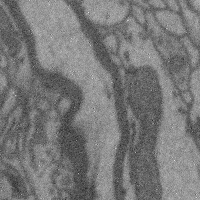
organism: Mouse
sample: Cerebral cortex